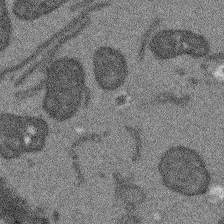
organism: Arabidopsis thaliana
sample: Root tip